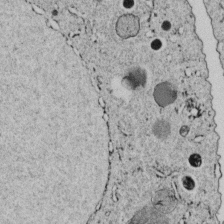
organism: C. elegans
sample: C. elegans embryo early stage